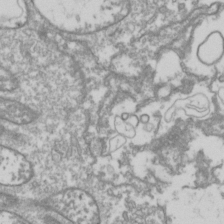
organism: Drosophila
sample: Cell division; meiosis; drosophila spermatocytes